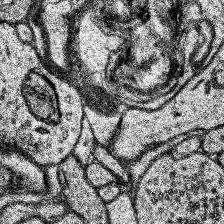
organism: Human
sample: Temporal Lobe